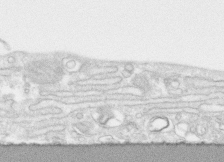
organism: Human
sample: CRL-1474